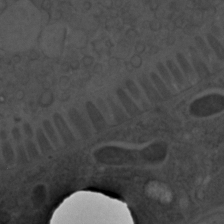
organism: C. elegans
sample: C. elegans embryo